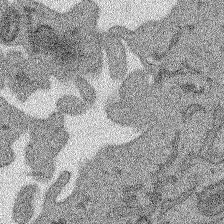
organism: Human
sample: HeLa cells